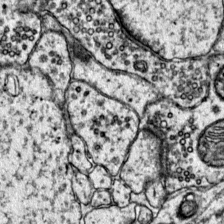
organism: Mouse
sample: Primary visual cortex